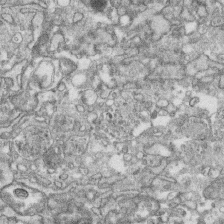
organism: Human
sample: CRL-1474